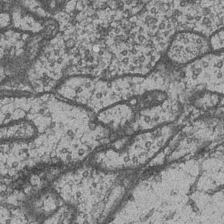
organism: Drosophila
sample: Optic medulla